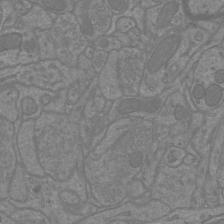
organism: Mouse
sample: Cortical neurons